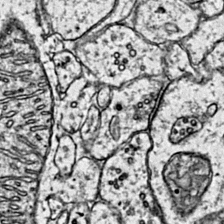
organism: Mouse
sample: Primary visual cortex